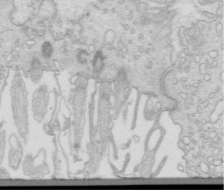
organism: Mouse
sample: Multiciliated cells